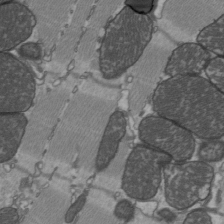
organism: C57BL Mouse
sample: Heart